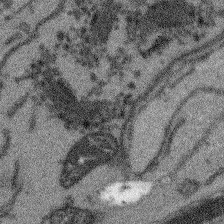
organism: Arabidopsis thaliana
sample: Root tip